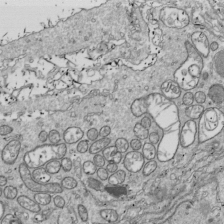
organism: Drosophila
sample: Cell division; meiosis; drosophila spermatocytes